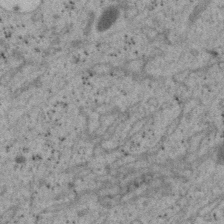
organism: Human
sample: HeLa cells